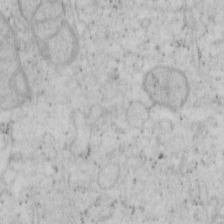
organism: Human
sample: HeLa cells